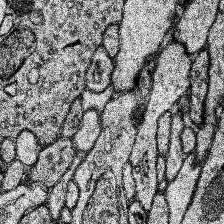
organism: Human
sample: Temporal Lobe